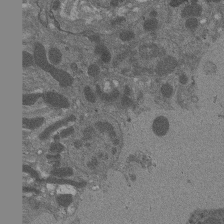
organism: Drosophila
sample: Antenna